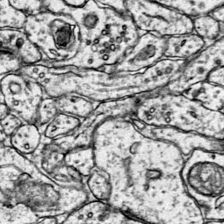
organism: Mouse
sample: Primary visual cortex